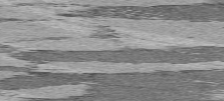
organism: C57BL Mouse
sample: Heart